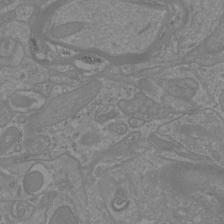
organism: Mouse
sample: Cortical neurons